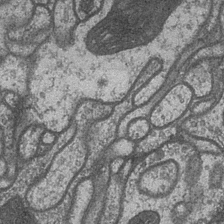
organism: Drosophila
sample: Optic medulla